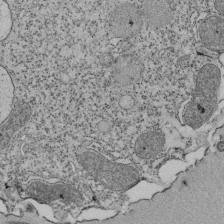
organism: Tetrahymena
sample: Cilia in tetrahymena